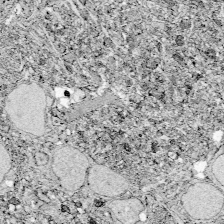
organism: Zebrafish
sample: Whole-Brain